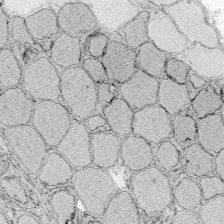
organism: Zebrafish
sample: Whole-Brain